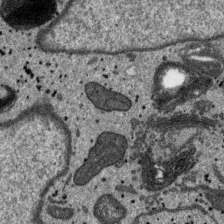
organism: Human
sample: Lung epithelial cells, uninfected (mock) control